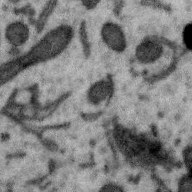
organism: Zebra finch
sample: Brain